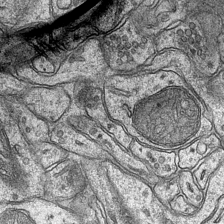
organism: Mouse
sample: CA1 Hippocampus